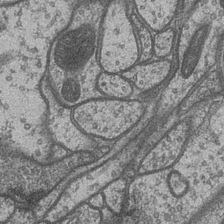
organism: Drosophila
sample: Optic medulla